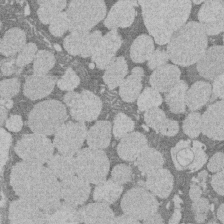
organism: Rat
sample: Salivary granule